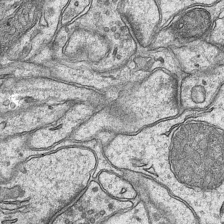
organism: Mouse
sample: CA1 Hippocampus